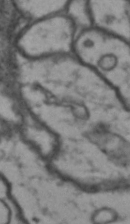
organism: Drosophila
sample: Brain